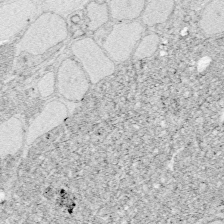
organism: Zebrafish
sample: Whole-Brain